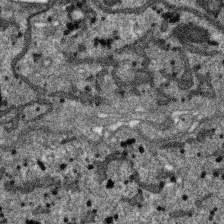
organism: Human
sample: Lung epithelial cells infected with SARS-CoV-2